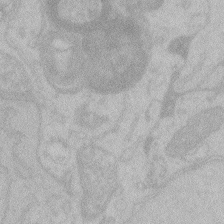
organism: Zebrafish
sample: Macrophage infected with Toxoplasma gondii